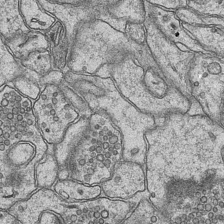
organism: Mouse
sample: CA1 Hippocampus